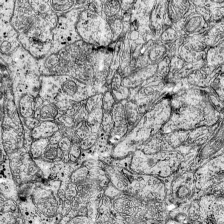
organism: Mouse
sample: Visual Cortex